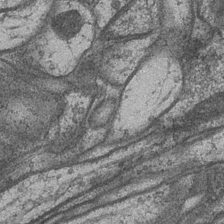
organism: Drosophila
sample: Optic medulla